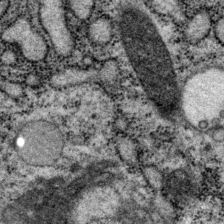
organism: P. pacificus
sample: Pharynx